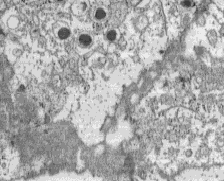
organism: C57BL Mouse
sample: Pancreatic islet